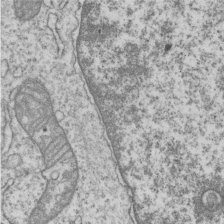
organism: Human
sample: MDA-MB-231 cells